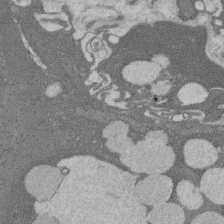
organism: Rat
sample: Salivary granule